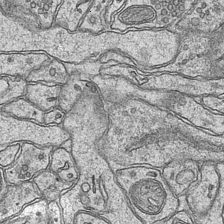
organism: Mouse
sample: CA1 Hippocampus